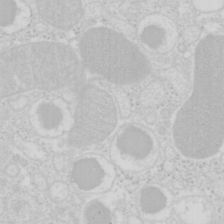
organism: Mouse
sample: Pancreas